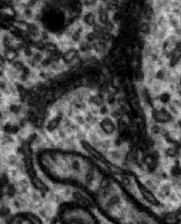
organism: Human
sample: HeLa cells